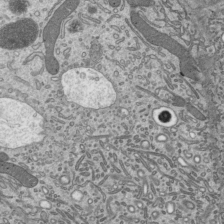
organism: Mouse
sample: Mouse epididymis efferent ductule cilia